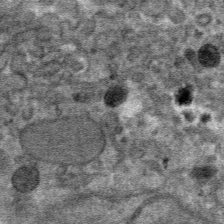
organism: Mouse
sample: Mouse hepatocytes